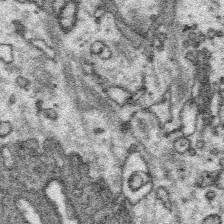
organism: Platynereis dumerilii